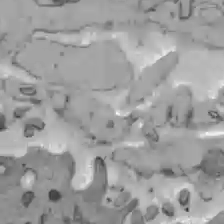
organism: C57BL Mouse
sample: Liver